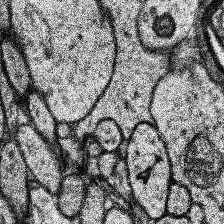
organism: Human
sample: Temporal Lobe